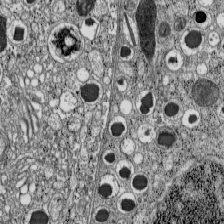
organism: C57BL Mouse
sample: Pancreatic islet